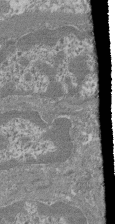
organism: Mouse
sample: Glomerulus